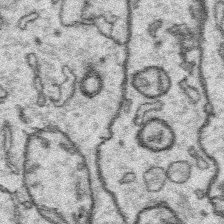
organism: Platynereis dumerilii